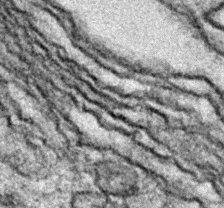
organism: Zebrafish